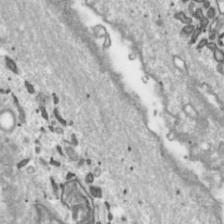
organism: Toxoplasma gondii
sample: Parasites in a vacuole inside a host cell